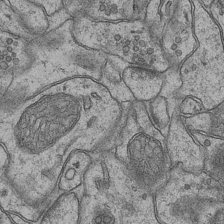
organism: Mouse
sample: CA1 Hippocampus